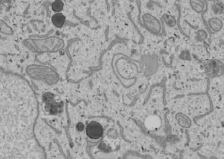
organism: Human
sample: Mitochondria in U2OS cells